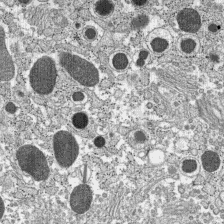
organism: C57BL Mouse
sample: Pancreatic islet